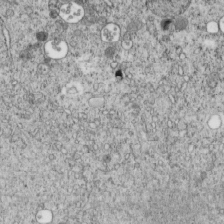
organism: C. elegans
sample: C. elegans embryo early stage